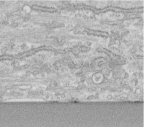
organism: Human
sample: Centriole in fibroblast cells